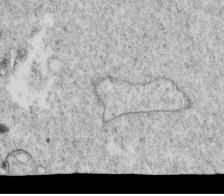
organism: C. elegans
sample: C. elegans oocyte; sperm cells